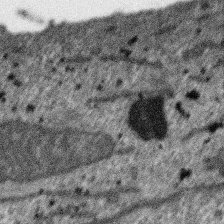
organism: Human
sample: Lung epithelial cells infected with SARS-CoV-2